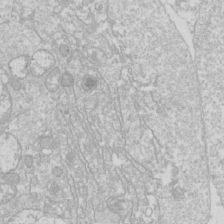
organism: Drosophila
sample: Cell division; meiosis; drosophila spermatocytes